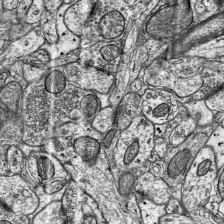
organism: Mouse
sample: Visual Cortex